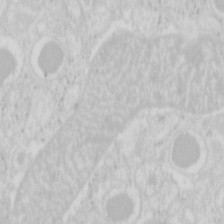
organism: Mouse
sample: Pancreas